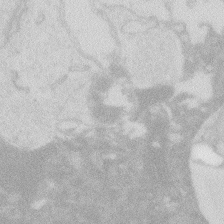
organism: Zebrafish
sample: Macrophage